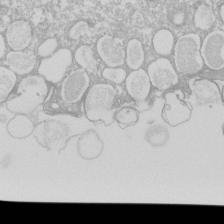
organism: Xenopus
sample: Cilia; centrioles in frog embryo cells